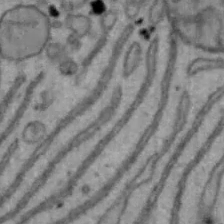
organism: Mouse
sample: Liver